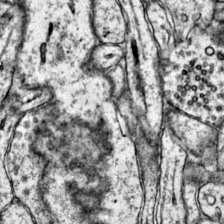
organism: Mouse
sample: Primary visual cortex